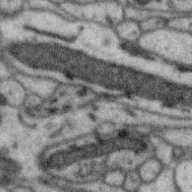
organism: Zebra finch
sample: Brain